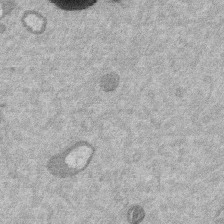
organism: Mouse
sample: Dividing mouse embryo 1 cell stage